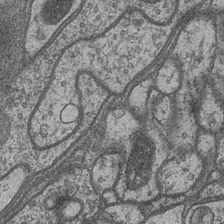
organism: Drosophila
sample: Optic medulla